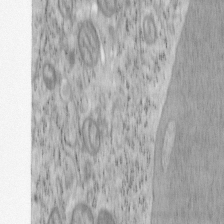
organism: Human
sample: HeLa cells